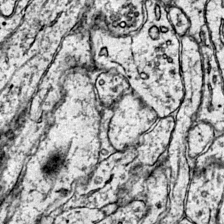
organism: Mouse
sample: Primary visual cortex